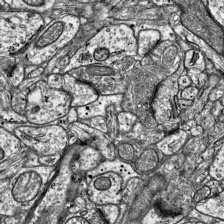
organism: Mouse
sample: Visual Cortex